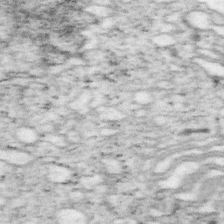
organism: Mouse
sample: OT-I killer T cells with ID8 ovarian cancer cells